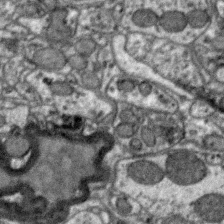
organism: Zebra finch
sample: Brain